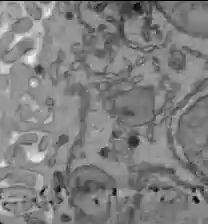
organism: C57BL Mouse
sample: Liver